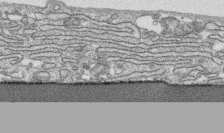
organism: Human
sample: CRL-1474